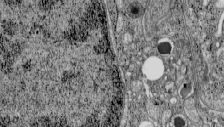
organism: C57BL Mouse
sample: Pancreatic islet